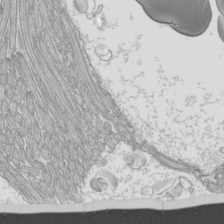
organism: Mouse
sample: Cilia; mouse epididymis